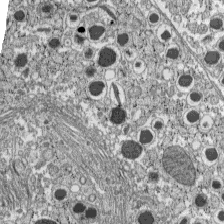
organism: C57BL Mouse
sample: Pancreatic islet